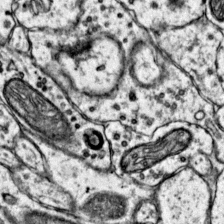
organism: Mouse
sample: Primary visual cortex